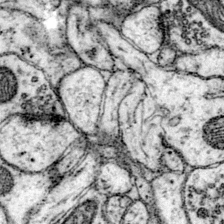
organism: Mouse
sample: Primary visual cortex